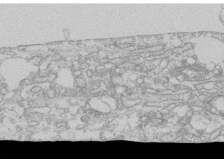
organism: Human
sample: CRL-1474